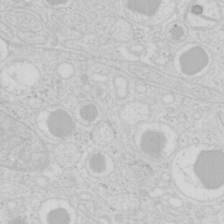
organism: Mouse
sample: Pancreas